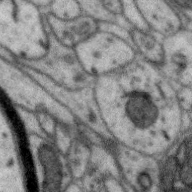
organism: Zebra finch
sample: Brain